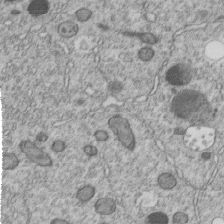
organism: C. elegans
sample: C. elegans embryo early stage